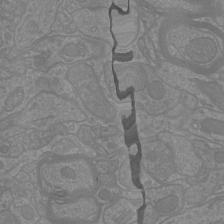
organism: Mouse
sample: Cortical neurons